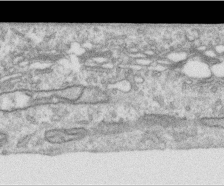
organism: Human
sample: Centriole in RPE cells